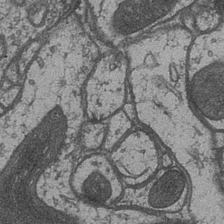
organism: Drosophila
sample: Optic medulla